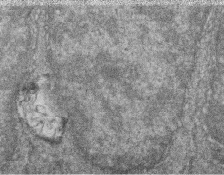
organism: Zebrafish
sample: Cilia; retinal pigment epithelium